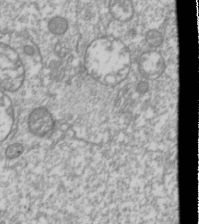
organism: Drosophila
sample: Cell division; meiosis; drosophila spermatocytes